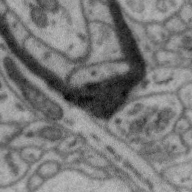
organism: Zebra finch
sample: Brain